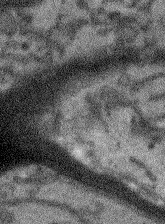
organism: Arabidopsis thaliana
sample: Root tip